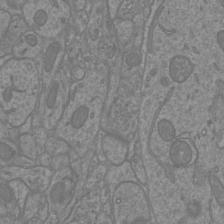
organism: Mouse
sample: Cortical neurons